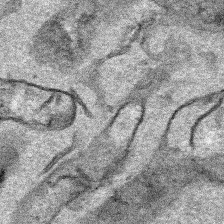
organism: Human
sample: Mitochondria in HCT116 cells